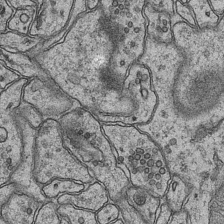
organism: Mouse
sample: CA1 Hippocampus